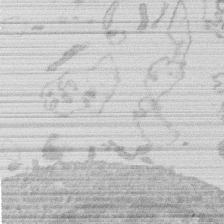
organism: Human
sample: Macrophage cells